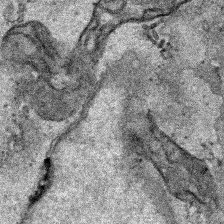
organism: Human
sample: Mitochondria in HCT116 cells